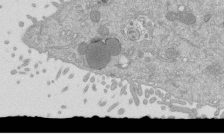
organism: Mouse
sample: ED-1 cell nuclei; centrioles